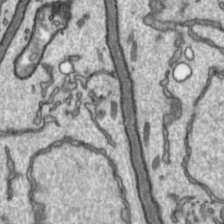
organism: Toxoplasma gondii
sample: Parasites in a vacuole inside a host cell